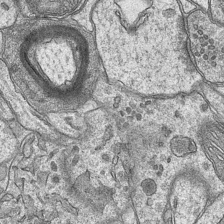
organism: Mouse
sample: CA1 Hippocampus